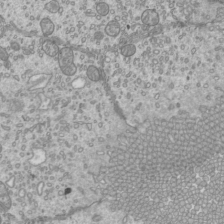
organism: Mouse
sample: Cilia; mouse epididymis